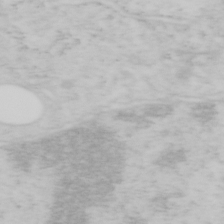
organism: Mouse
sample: OT-I killer T cells with ID8 ovarian cancer cells